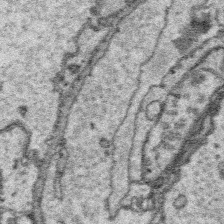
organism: Platynereis dumerilii